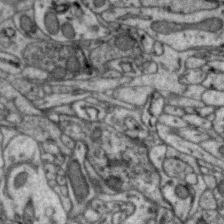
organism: Zebra finch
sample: Brain